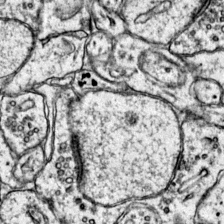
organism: Mouse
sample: Primary visual cortex